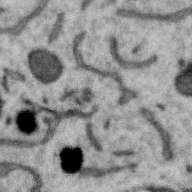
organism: Zebra finch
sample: Brain